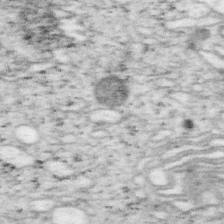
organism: Mouse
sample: OT-I killer T cells with ID8 ovarian cancer cells